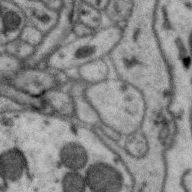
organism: Zebra finch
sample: Brain